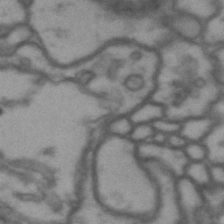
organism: Drosophila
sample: Brain